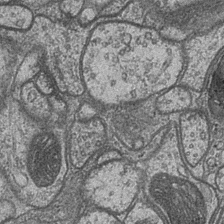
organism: Drosophila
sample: Optic medulla